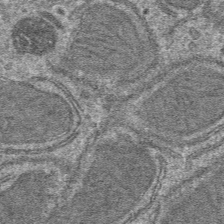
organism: Mouse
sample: Mouse hepatocytes